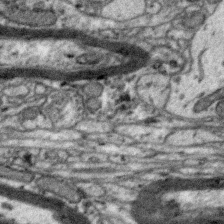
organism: Zebra finch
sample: Brain